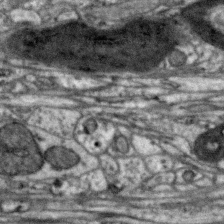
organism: Zebra finch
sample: Brain